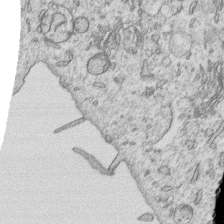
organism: Human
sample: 1205lu cells